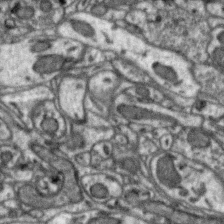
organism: Zebra finch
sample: Brain